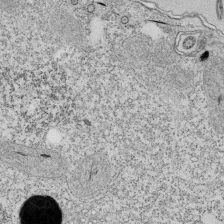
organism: Tetrahymena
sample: Cilia in tetrahymena